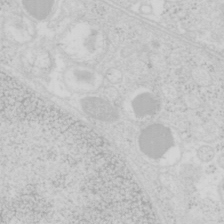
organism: Mouse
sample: Pancreas